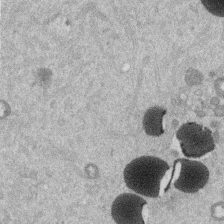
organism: Mouse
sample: Dividing mouse embryo 1 cell stage